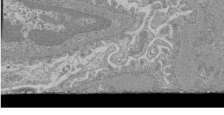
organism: Mouse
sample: Glomerulus